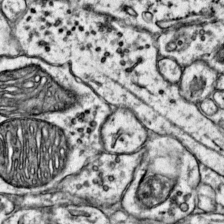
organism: Mouse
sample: Primary visual cortex